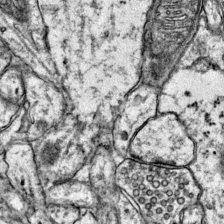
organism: Mouse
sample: Primary visual cortex